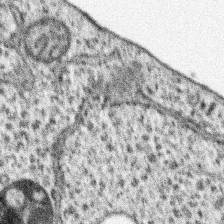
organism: Human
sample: HeLa cells